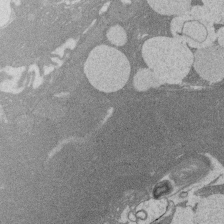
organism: Rat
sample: Salivary granule